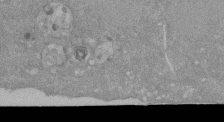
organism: Mouse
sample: ED-1 cell nuclei; centrioles